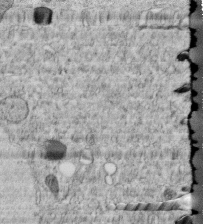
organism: C. elegans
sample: C. elegans embryo early stage